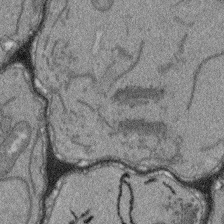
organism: Arabidopsis thaliana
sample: Root tip